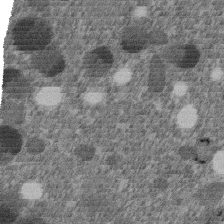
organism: C. elegans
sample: C. elegans embryo early stage